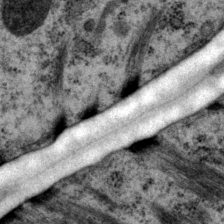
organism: P. pacificus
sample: Pharynx